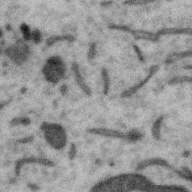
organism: Zebra finch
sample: Brain